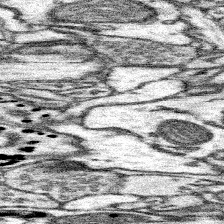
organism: Mouse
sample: Somatosensory cortex neuropil